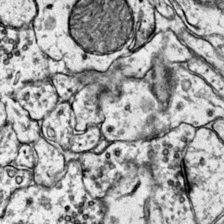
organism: Mouse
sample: Primary visual cortex